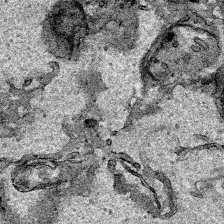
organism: Human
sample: Mitochondria in HCT116 cells